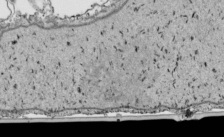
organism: Human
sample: Mitochondria in HCT116 cells